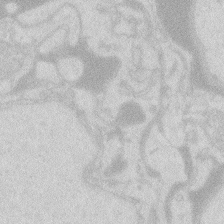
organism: Zebrafish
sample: Macrophage